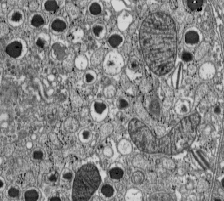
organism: C57BL Mouse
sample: Pancreatic islet